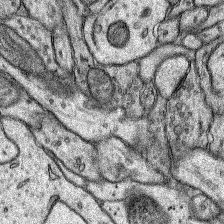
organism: Rat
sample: Hippocampus